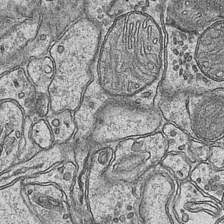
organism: Mouse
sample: CA1 Hippocampus